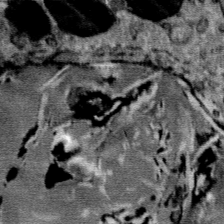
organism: Mouse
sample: Mouse Salivary gland